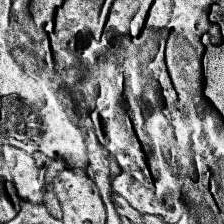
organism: Human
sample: Temporal Lobe